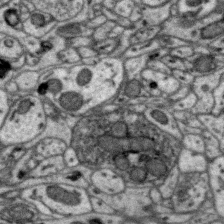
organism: Zebra finch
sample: Brain